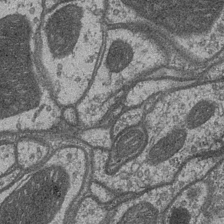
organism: Drosophila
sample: Optic medulla